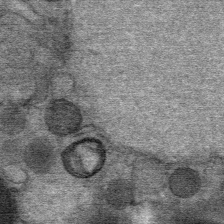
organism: Mouse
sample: Mouse Salivary gland